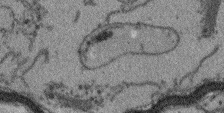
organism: Arabidopsis thaliana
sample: Root tip